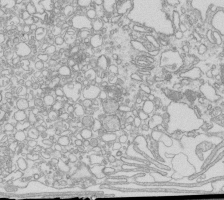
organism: Mouse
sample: Macrophages